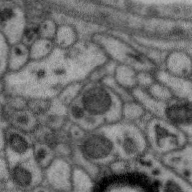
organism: Zebra finch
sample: Brain